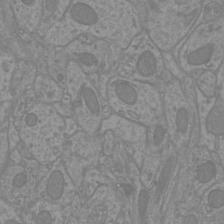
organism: Mouse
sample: Cortical neurons